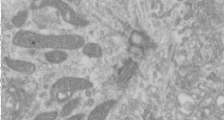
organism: Human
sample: Cilia; basal body in RPE cells